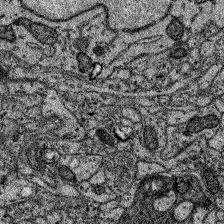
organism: Zebrafish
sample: Larval olfactory bulb